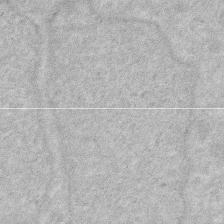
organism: Human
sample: HIV infected U937 cells